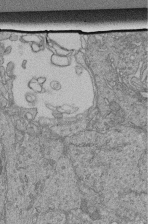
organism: Human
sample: Retinal organoid Rod and Cone cells